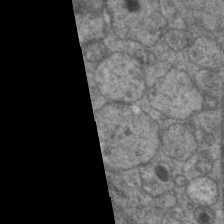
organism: C. elegans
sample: Pharynx